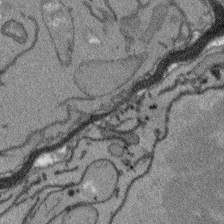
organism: Arabidopsis thaliana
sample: Root tip